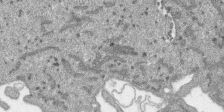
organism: Human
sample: Lung epithelial cells infected with SARS-CoV-2